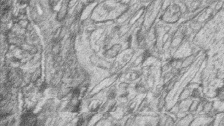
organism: Zebrafish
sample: synaptic ribbons in rod cells and cone cells